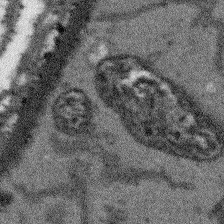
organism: Arabidopsis thaliana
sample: Root tip